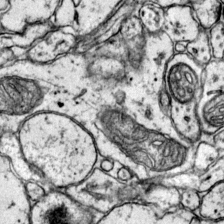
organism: Mouse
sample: Primary visual cortex